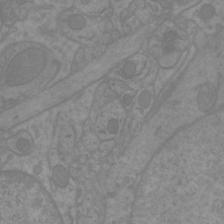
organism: Mouse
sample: Cortical neurons